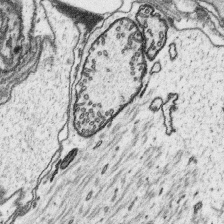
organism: Platynereis dumerilii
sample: Parapodia